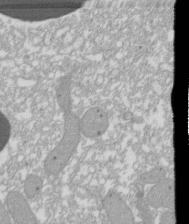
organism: Xenopus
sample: Cilia; centrioles in frog embryo cells